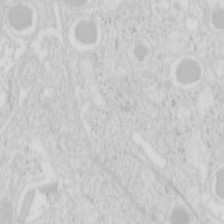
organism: Mouse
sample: Pancreas